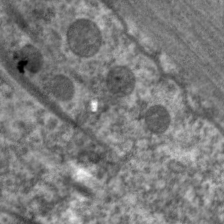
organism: C. elegans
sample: Pharynx